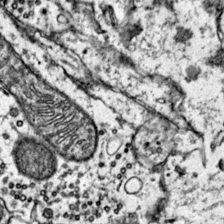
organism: Mouse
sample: Primary visual cortex